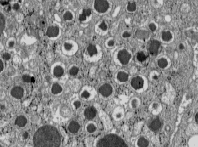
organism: C57BL Mouse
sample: Pancreatic islet